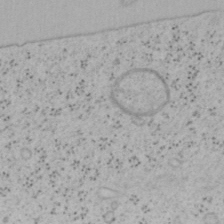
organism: Human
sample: HeLa cells